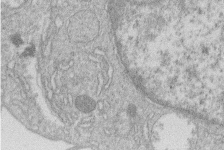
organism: Human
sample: Macrophage cells